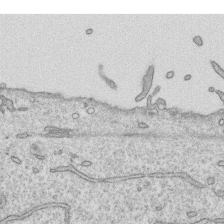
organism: Human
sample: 1205lu cells